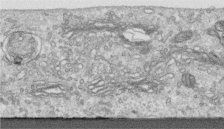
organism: Human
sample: Centriole in RPE cells